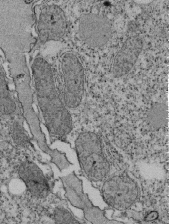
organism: Tetrahymena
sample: Cilia in tetrahymena